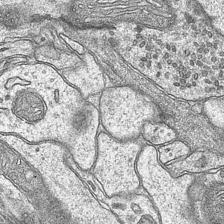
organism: Mouse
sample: CA1 Hippocampus